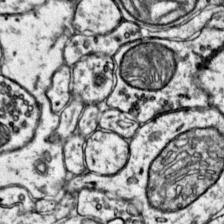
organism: Mouse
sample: Primary visual cortex